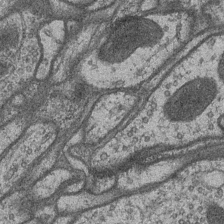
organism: Drosophila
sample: Optic medulla